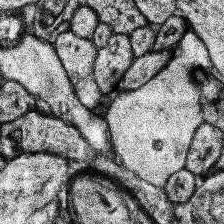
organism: Human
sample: Temporal Lobe